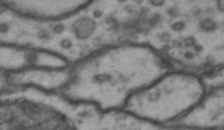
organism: Drosophila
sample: Brain